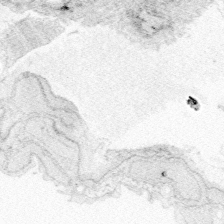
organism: Zebrafish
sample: Whole-Brain